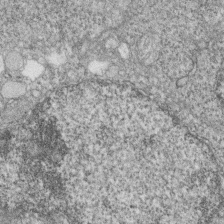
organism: Zebrafish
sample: Cilia; retinal pigment epithelium